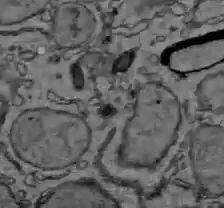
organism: C57BL Mouse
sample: Liver